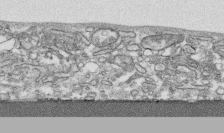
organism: Human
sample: CRL-1474